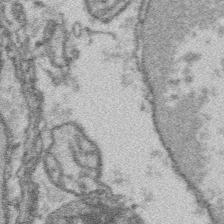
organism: Platynereis dumerilii